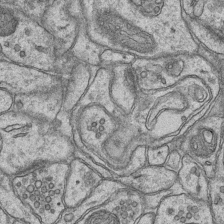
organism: Mouse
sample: CA1 Hippocampus